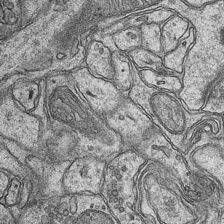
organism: Mouse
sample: CA1 Hippocampus